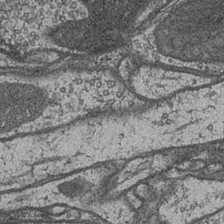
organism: Drosophila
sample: Optic medulla